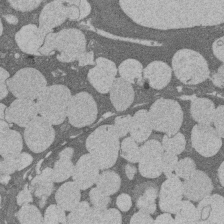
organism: Rat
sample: Salivary granule